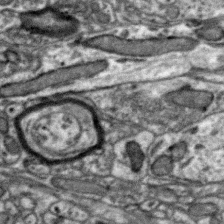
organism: Zebra finch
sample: Brain